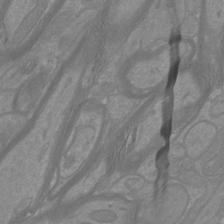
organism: Mouse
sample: Cortical neurons